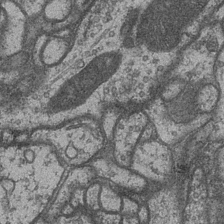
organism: Drosophila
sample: Optic medulla